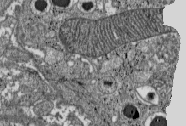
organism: C57BL Mouse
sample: Pancreatic islet